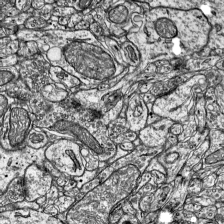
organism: Mouse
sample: Visual Cortex